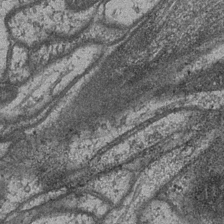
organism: Drosophila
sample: Optic medulla